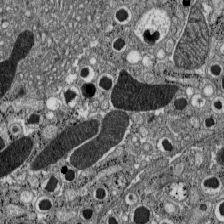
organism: C57BL Mouse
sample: Pancreatic islet